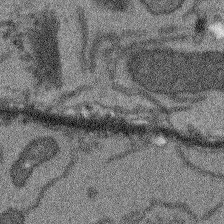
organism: Arabidopsis thaliana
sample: Root tip